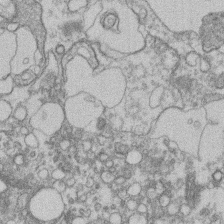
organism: Mouse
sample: T cell stromal cell synapse